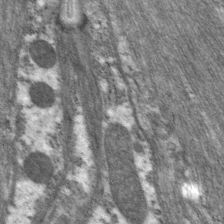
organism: C. elegans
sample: Pharynx